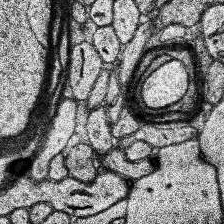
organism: Human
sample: Temporal Lobe